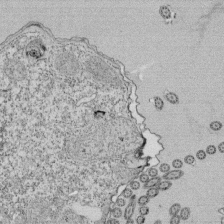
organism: Tetrahymena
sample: Cilia in tetrahymena